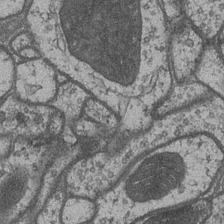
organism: Drosophila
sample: Optic medulla